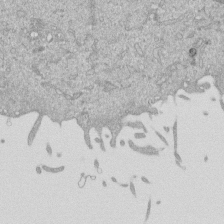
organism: Mouse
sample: ED-1 cell nuclei; centrioles